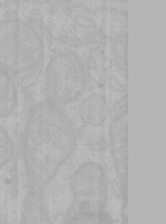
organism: Mouse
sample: Choroid plexus